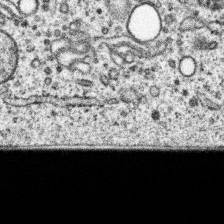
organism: Human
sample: HeLa cells